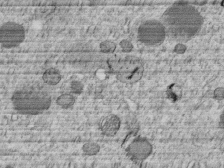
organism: C. elegans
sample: C. elegans embryo early stage